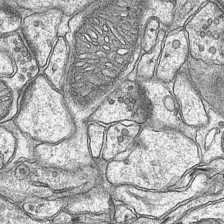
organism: Mouse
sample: CA1 Hippocampus